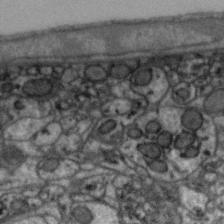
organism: Zebra finch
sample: Brain